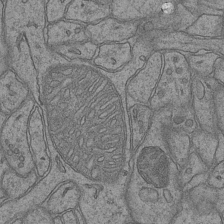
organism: Mouse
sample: CA1 Hippocampus